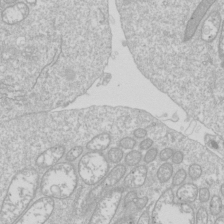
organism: Drosophila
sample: Cell division; meiosis; drosophila spermatocytes